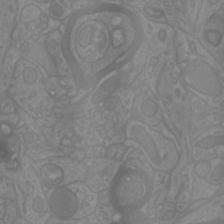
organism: Mouse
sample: Cortical neurons